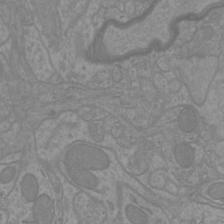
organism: Mouse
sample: Cortical neurons